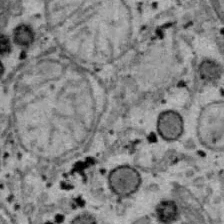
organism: Mouse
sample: Liver from an obese (ob/ob) mouse